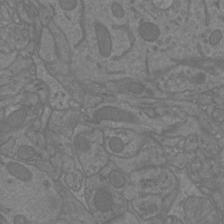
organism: Mouse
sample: Cortical neurons